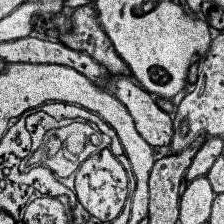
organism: Human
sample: Temporal Lobe